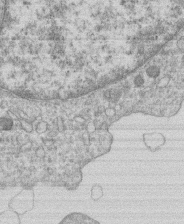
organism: Human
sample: Macrophage cells